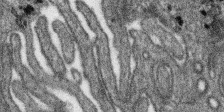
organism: Human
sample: Lung epithelial cells infected with SARS-CoV-2